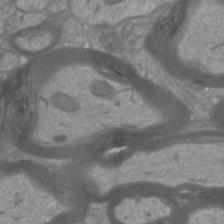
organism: Mouse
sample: Cortical neurons